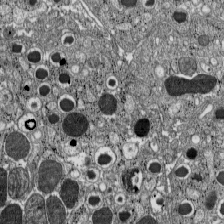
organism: C57BL Mouse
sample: Pancreatic islet